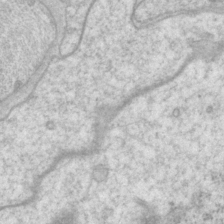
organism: P. pacificus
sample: Pharynx